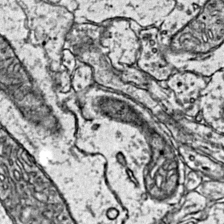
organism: Mouse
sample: Primary visual cortex